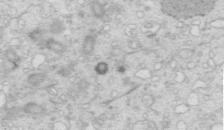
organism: Mouse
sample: Multiciliated cells